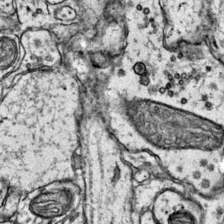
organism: Mouse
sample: Primary visual cortex